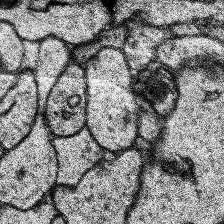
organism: Human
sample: Temporal Lobe